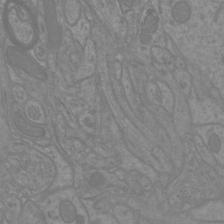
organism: Mouse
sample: Cortical neurons